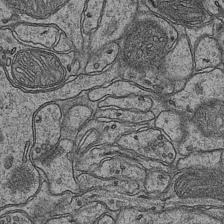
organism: Mouse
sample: CA1 Hippocampus